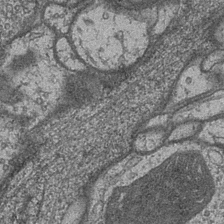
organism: Drosophila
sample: Optic medulla